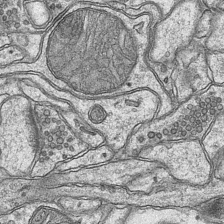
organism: Mouse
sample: CA1 Hippocampus